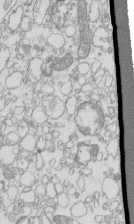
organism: Mouse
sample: Macrophages